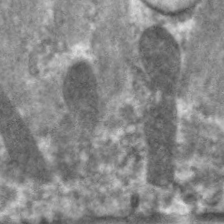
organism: C. elegans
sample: Pharynx